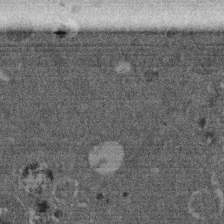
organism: Mouse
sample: Dividing mouse embryo 1 cell stage